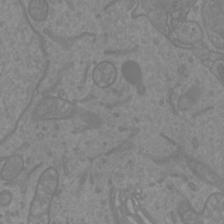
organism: Mouse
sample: Cortical neurons